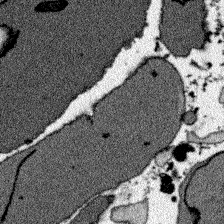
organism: Zebrafish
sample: Larval olfactory bulb